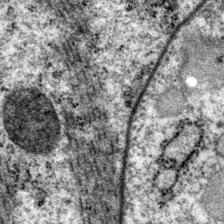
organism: P. pacificus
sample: Pharynx